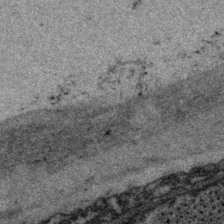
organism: P. pacificus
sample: Pharynx